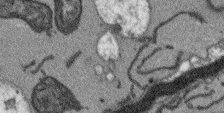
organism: Arabidopsis thaliana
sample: Root tip